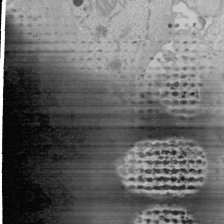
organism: Human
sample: Mitochondria in U2OS cells